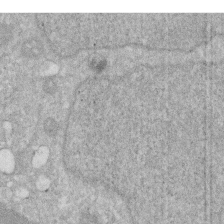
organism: Human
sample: HIV infected U937 cells